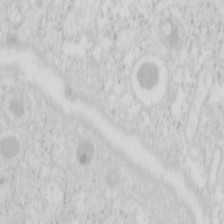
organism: Mouse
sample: Pancreas